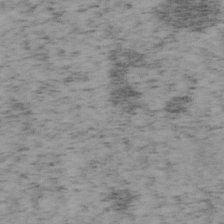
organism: Mouse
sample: OT-I killer T cells with ID8 ovarian cancer cells